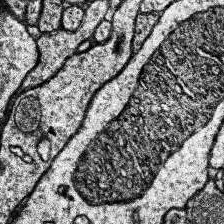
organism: Human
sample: Temporal Lobe